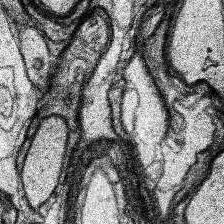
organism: Human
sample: Temporal Lobe